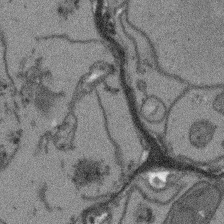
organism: Arabidopsis thaliana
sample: Root tip